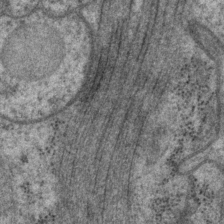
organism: P. pacificus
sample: Pharynx